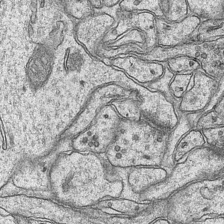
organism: Mouse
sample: CA1 Hippocampus